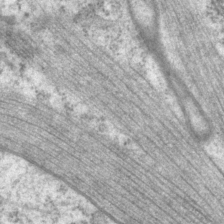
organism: P. pacificus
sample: Pharynx